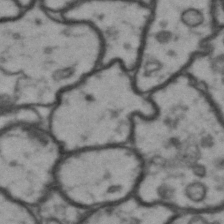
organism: Drosophila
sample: Brain